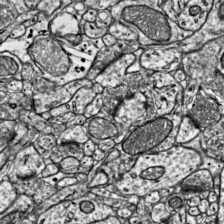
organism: Mouse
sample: Visual Cortex